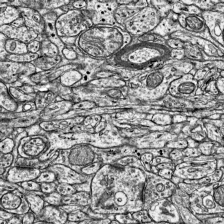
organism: Mouse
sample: Visual Cortex